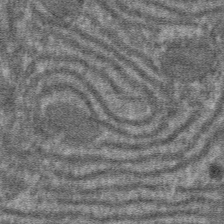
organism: Mouse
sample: Mouse hepatocytes